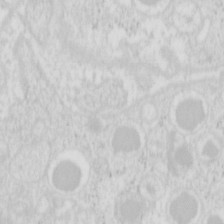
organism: Mouse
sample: Pancreas